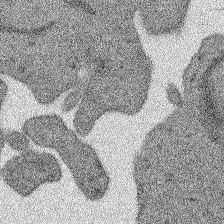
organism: Human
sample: HeLa cells